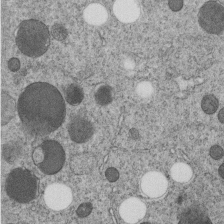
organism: C. elegans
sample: C. elegans embryo early stage